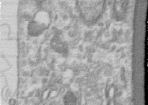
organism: Human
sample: Centriole in RPE cells